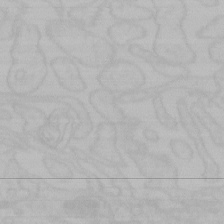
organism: Mouse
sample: Choroid plexus